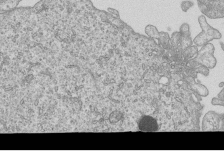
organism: Human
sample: MDA-MB-231 cells